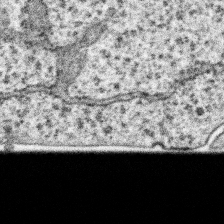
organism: Human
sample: HeLa cells